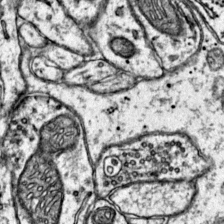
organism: Mouse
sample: Primary visual cortex